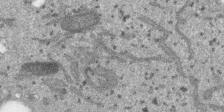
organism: Human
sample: Lung epithelial cells infected with SARS-CoV-2